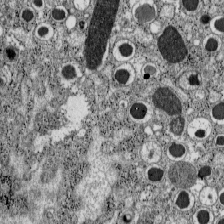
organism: C57BL Mouse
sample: Pancreatic islet